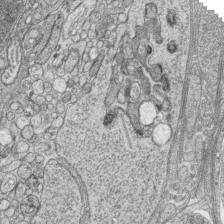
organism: Zebrafish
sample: synaptic ribbons in rod cells and cone cells